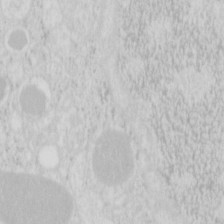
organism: Mouse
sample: Pancreas